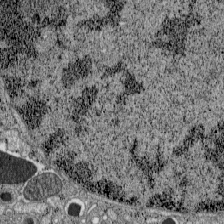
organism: C57BL Mouse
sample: Pancreatic islet